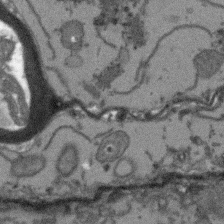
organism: Arabidopsis thaliana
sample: Root tip